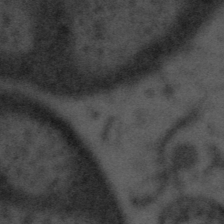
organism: Tuwongella immobilis